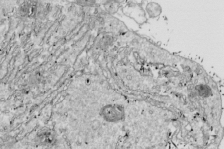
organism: Drosophila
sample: Cell division; meiosis; drosophila spermatocytes